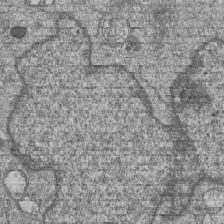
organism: Human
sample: MDA-MB-231 cells